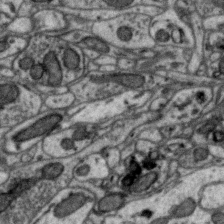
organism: Zebra finch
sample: Brain